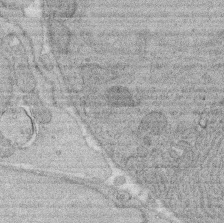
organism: Rat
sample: Salivary granule